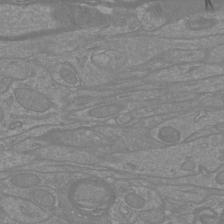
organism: Mouse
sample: Cortical neurons